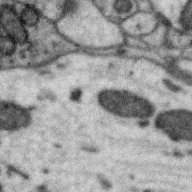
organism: Zebra finch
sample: Brain